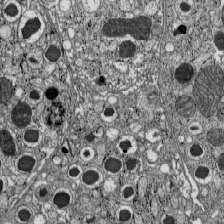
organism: C57BL Mouse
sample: Pancreatic islet